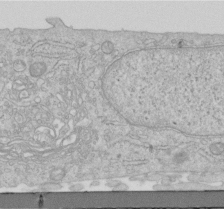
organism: Human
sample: Centriole in RPE cells